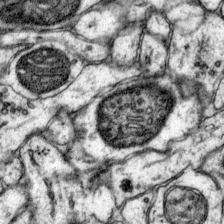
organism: Mouse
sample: Primary visual cortex